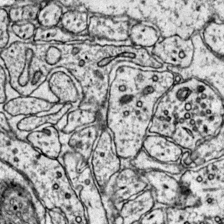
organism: Mouse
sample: Primary visual cortex